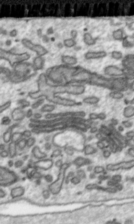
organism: Toxoplasma gondii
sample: Parasites in a vacuole inside a host cell